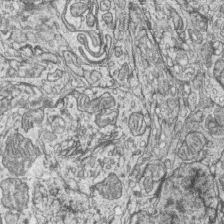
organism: Zebrafish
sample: synaptic ribbons in rod cells and cone cells